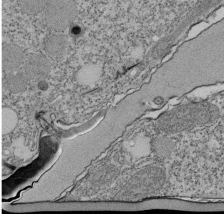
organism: Tetrahymena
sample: Cilia in tetrahymena